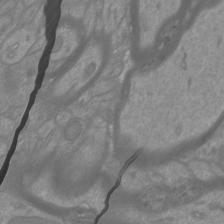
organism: Mouse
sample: Cortical neurons